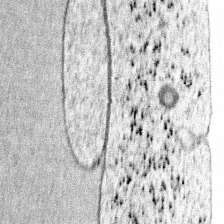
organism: Human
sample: HeLa cells